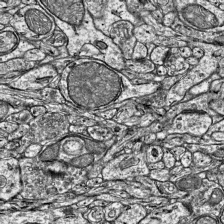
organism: Mouse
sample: Visual Cortex